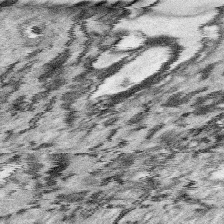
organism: Human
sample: HeLa cells